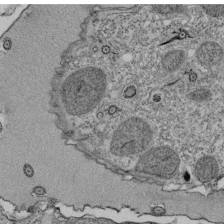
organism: Tetrahymena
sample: Cilia in tetrahymena